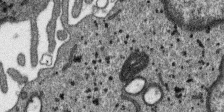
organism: Human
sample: Lung epithelial cells infected with SARS-CoV-2